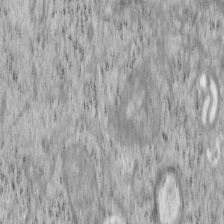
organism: Human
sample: HeLa cells